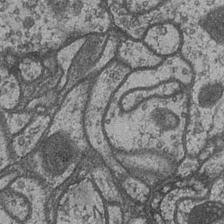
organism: Drosophila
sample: Optic medulla